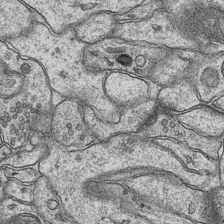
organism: Mouse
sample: CA1 Hippocampus